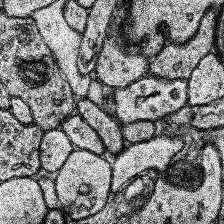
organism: Human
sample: Temporal Lobe